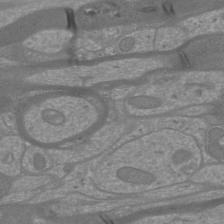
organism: Mouse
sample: Cortical neurons